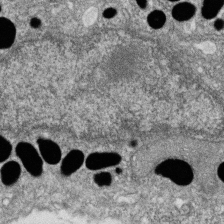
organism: Zebrafish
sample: Cilia; retinal pigment epithelium